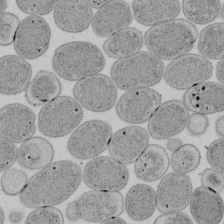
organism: E. coli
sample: Bacterial nucleoid